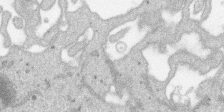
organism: Human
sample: Lung epithelial cells infected with SARS-CoV-2